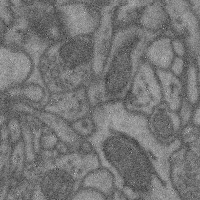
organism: Mouse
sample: Cerebral cortex